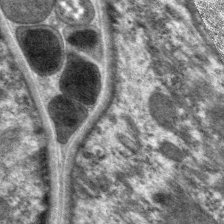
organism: C. elegans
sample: Pharynx